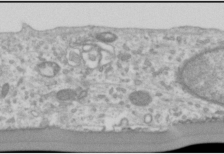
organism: Human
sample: Cilia; basal body in RPE cells